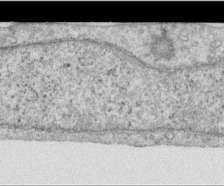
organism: Human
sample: Centriole in RPE cells